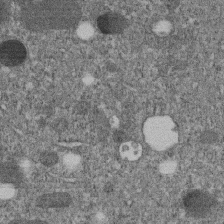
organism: C. elegans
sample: C. elegans embryo early stage